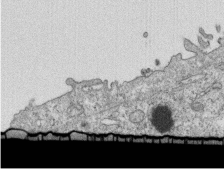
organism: Human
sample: HeLa cell HIV synapse